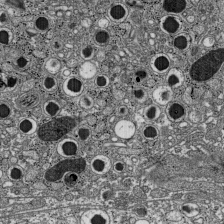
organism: C57BL Mouse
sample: Pancreatic islet